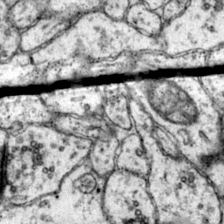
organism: Mouse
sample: Primary visual cortex